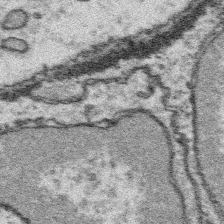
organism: Platynereis dumerilii